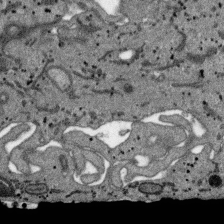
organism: Human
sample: Lung epithelial cells, uninfected (mock) control